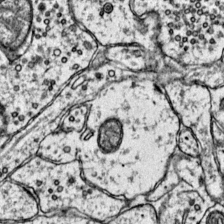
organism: Mouse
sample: Primary visual cortex